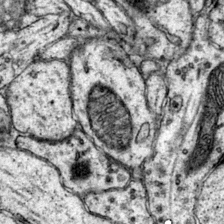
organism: Mouse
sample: Primary visual cortex